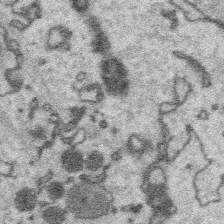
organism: Platynereis dumerilii